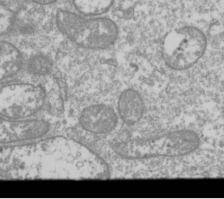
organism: Drosophila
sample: Cell division; meiosis; drosophila spermatocytes